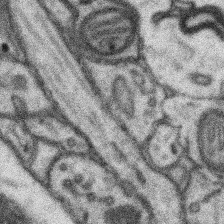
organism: Mouse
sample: Somatosensory cortex neuropil